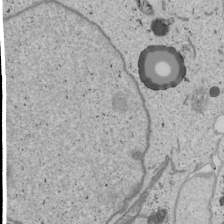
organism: Human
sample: Mitochondria in U2OS cells